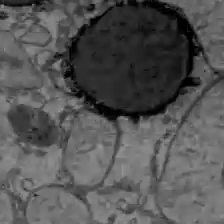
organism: C57BL Mouse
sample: Liver